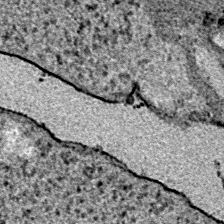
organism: E. coli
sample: E. Coli Bacteria